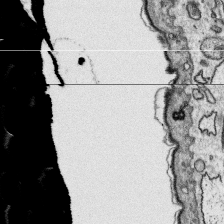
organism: Platynereis dumerilii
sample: Parapodia